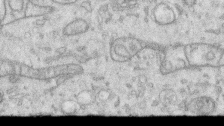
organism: Human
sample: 1205lu cells